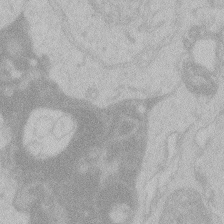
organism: Zebrafish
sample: Macrophage infected with Toxoplasma gondii